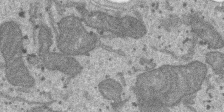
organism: Human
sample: Lung epithelial cells infected with SARS-CoV-2